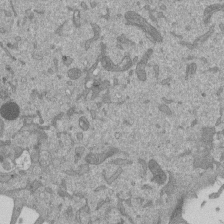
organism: Mouse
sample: ED-1 cell nuclei; centrioles